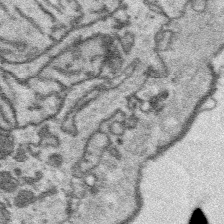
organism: Platynereis dumerilii